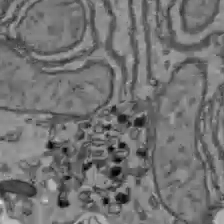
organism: C57BL Mouse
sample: Liver